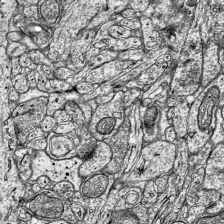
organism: Mouse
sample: Visual Cortex